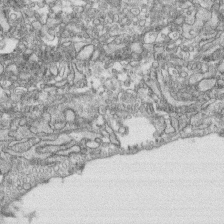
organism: Human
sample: CRL-1474